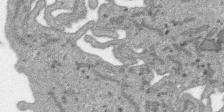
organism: Human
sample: Lung epithelial cells infected with SARS-CoV-2